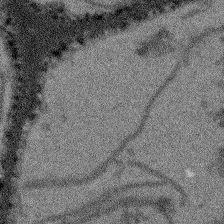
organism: Arabidopsis thaliana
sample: Root tip